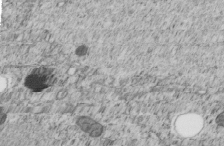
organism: C. elegans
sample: C. elegans embryo early stage